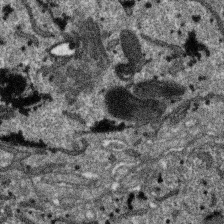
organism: Human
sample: Lung epithelial cells infected with SARS-CoV-2